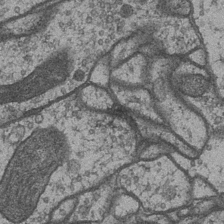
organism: Drosophila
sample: Optic medulla